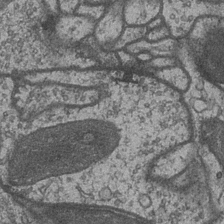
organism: Drosophila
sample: Optic medulla